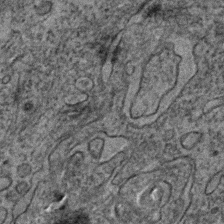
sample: Trachea